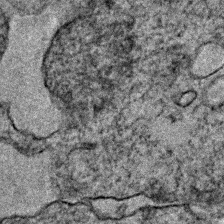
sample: Trachea